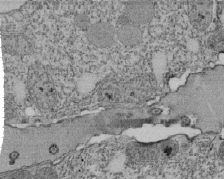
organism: Tetrahymena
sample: Cilia in tetrahymena